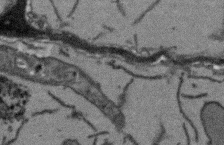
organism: Arabidopsis thaliana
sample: Root tip